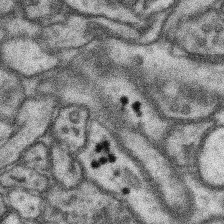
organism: Mouse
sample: Somatosensory cortex neuropil